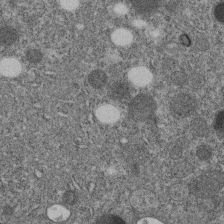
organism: C. elegans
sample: C. elegans embryo early stage